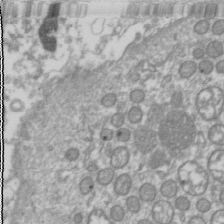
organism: Drosophila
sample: Cell division; meiosis; drosophila spermatocytes